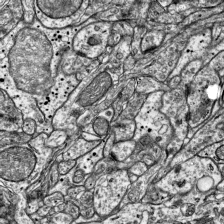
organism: Mouse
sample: Visual Cortex